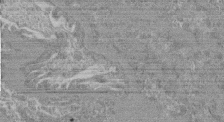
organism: Mouse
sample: Glomerulus